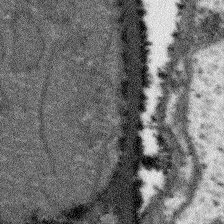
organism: Arabidopsis thaliana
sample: Root tip